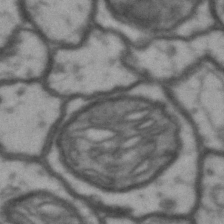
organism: Drosophila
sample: Brain